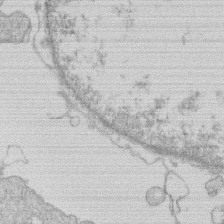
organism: Human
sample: Macrophage cells